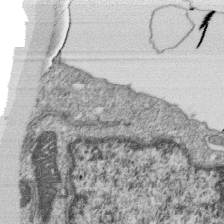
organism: African green monkey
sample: Vero E6 cells infected with SARS-CoV-2